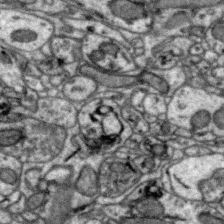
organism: Zebra finch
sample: Brain